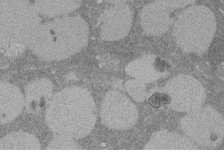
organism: Rat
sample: Salivary granule